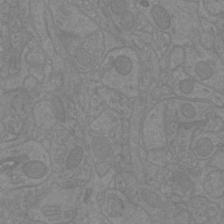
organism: Mouse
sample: Cortical neurons